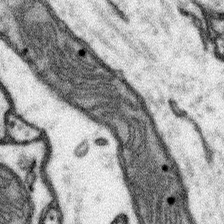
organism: Mouse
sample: Somatosensory cortex neuropil